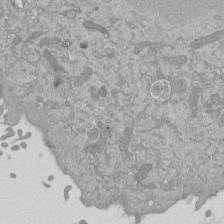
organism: Mouse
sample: ED-1 cell nuclei; centrioles